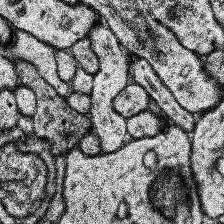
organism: Human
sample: Temporal Lobe